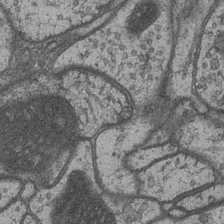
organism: Drosophila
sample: Optic medulla